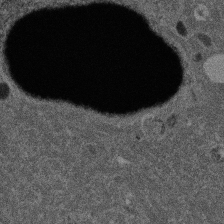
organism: Mouse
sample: Dividing mouse embryo 1 cell stage